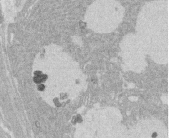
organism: Rat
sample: Salivary granule